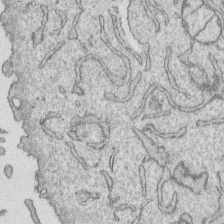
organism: Human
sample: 1205lu cells